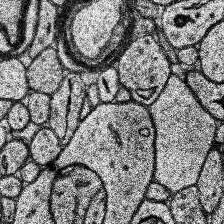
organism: Human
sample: Temporal Lobe